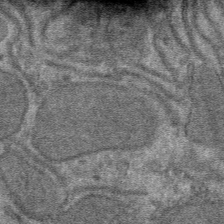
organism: Mouse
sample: Mouse hepatocytes